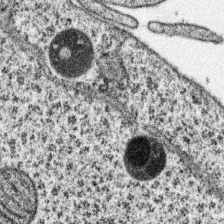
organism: Human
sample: HeLa cells